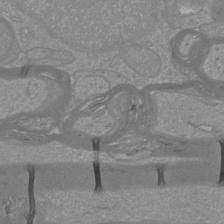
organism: Mouse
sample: Cortical neurons